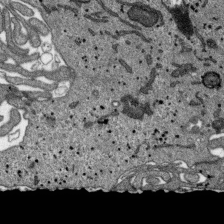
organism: Human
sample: Lung epithelial cells, uninfected (mock) control